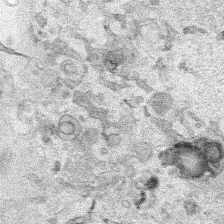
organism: Human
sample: Mitochondria in HCT116 cells